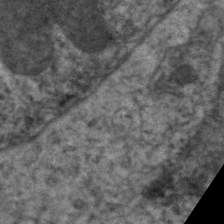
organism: C. elegans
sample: Pharynx